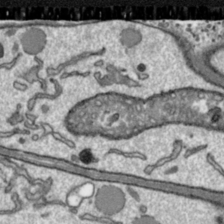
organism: Toxoplasma gondii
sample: Parasites in a vacuole inside a host cell